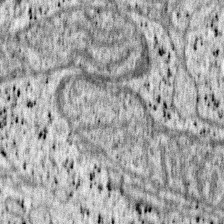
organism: Human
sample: HeLa cells